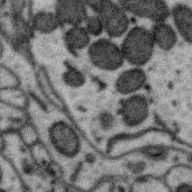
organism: Zebra finch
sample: Brain